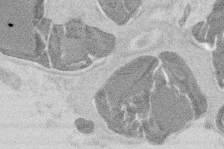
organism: Mouse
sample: T cell stromal cell synapse